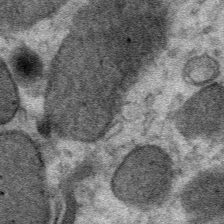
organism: Mouse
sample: Mouse Salivary gland